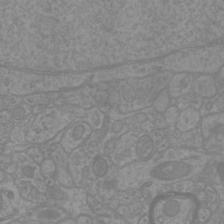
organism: Mouse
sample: Cortical neurons